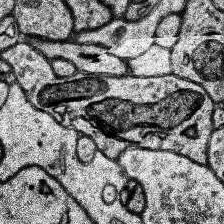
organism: Human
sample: Temporal Lobe